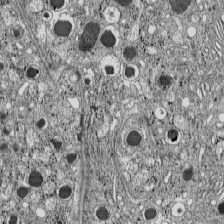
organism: C57BL Mouse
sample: Pancreatic islet